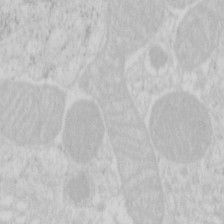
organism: Mouse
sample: Pancreas